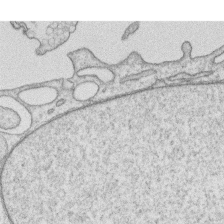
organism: Human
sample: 1205lu cells